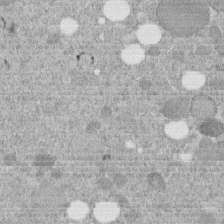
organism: C. elegans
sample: C. elegans embryo early stage